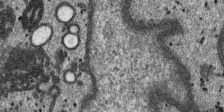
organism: Human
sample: Lung epithelial cells infected with SARS-CoV-2